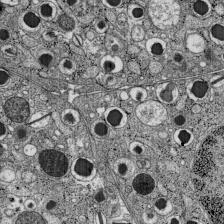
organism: C57BL Mouse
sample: Pancreatic islet